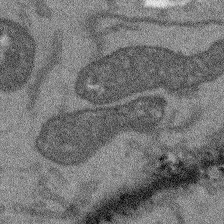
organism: Arabidopsis thaliana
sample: Root tip